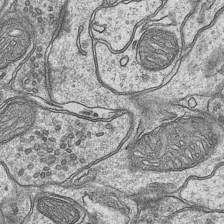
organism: Mouse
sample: CA1 Hippocampus